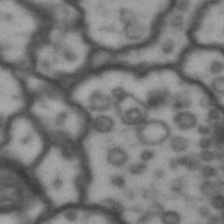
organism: Drosophila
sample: Brain